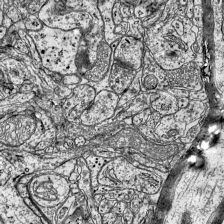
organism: Mouse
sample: Visual Cortex